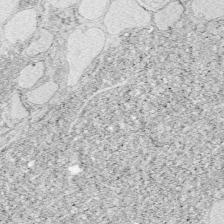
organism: Zebrafish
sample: Whole-Brain